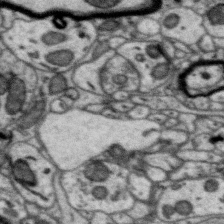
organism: Zebra finch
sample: Brain